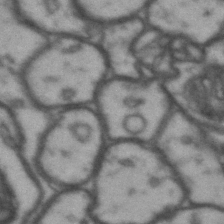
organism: Drosophila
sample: Brain